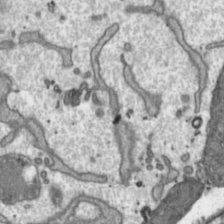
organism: Toxoplasma gondii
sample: Parasites in a vacuole inside a host cell